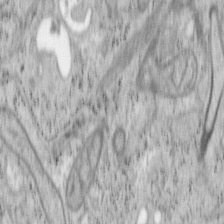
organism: Human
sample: HeLa cells